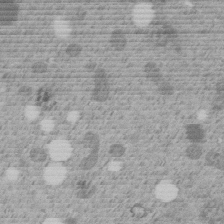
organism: C. elegans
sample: C. elegans embryo early stage